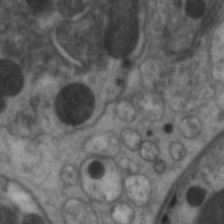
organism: C. elegans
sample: Pharynx